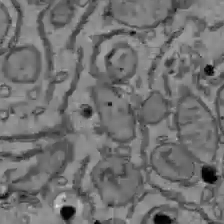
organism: C57BL Mouse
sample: Liver